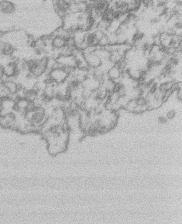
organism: Mouse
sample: T cell stromal cell synapse